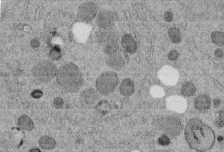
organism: C. elegans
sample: C. elegans embryo early stage